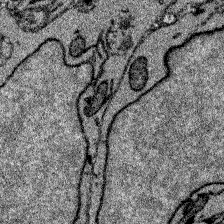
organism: Zebrafish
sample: Larval olfactory bulb